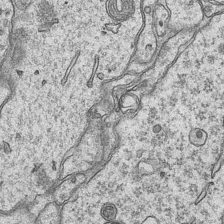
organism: Mouse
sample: CA1 Hippocampus